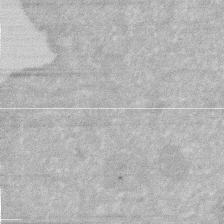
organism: Human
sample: HIV infected U937 cells